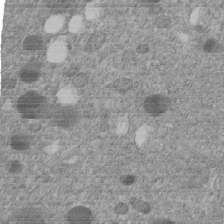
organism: C. elegans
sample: C. elegans embryo early stage